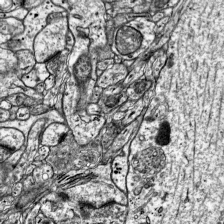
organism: Mouse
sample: Visual Cortex